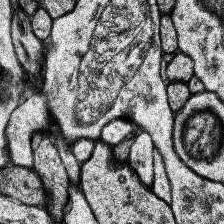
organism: Human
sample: Temporal Lobe